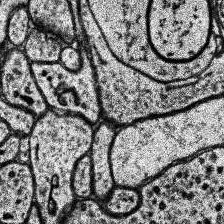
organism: Human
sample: Temporal Lobe